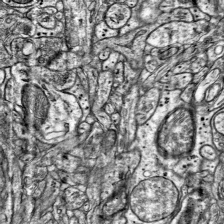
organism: Mouse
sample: Visual Cortex